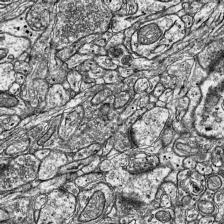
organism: Mouse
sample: Visual Cortex